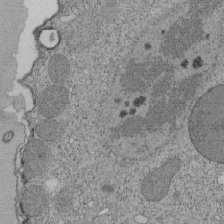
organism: Tetrahymena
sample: Cilia in tetrahymena